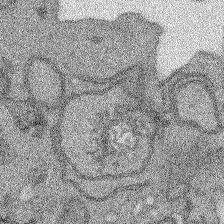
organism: Human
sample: HeLa cells